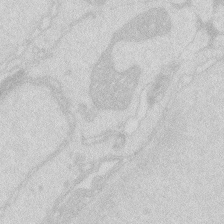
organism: Zebrafish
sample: Macrophage